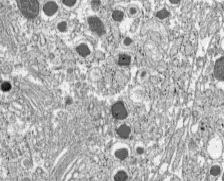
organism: C57BL Mouse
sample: Pancreatic islet